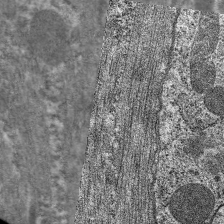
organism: C. elegans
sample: Pharynx